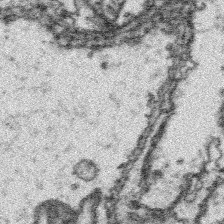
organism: Platynereis dumerilii